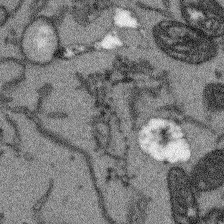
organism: Arabidopsis thaliana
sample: Root tip